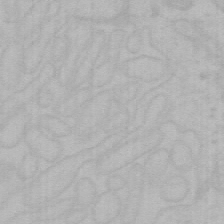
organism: Mouse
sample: Choroid plexus